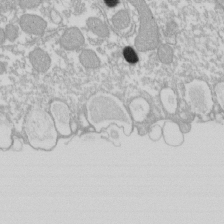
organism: Xenopus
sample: Cilia; centrioles in frog embryo cells